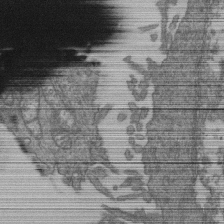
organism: Human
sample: Retinal organoid Rod and Cone cells